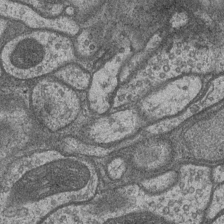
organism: Drosophila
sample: Optic medulla